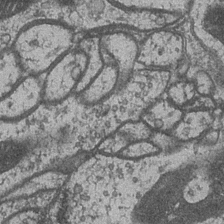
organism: Drosophila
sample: Optic medulla